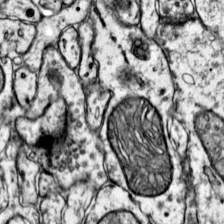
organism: Mouse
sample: Primary visual cortex